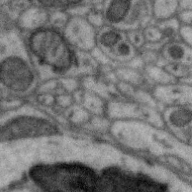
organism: Zebra finch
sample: Brain